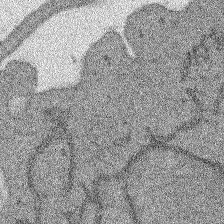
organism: Human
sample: HeLa cells